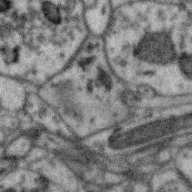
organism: Zebra finch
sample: Brain